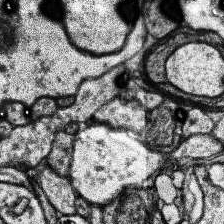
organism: Human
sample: Temporal Lobe